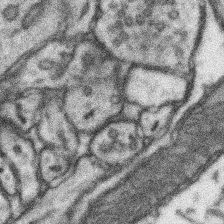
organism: Mouse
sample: Somatosensory cortex neuropil